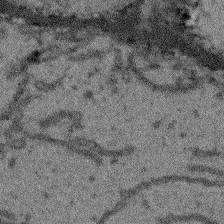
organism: Arabidopsis thaliana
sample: Root tip